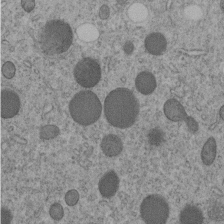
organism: C. elegans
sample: C. elegans embryo early stage